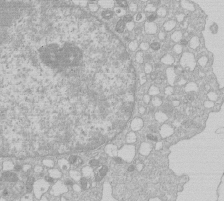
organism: Human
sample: Macrophage cells